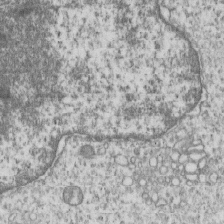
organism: Human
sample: MDA-MB-231 cells